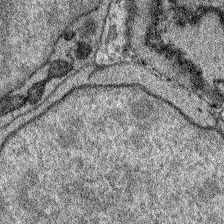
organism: Zebrafish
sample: Larval olfactory bulb